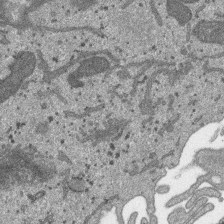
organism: Human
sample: Lung epithelial cells infected with SARS-CoV-2